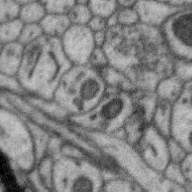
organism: Zebra finch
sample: Brain